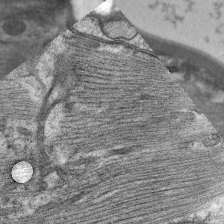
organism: C. elegans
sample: Pharynx